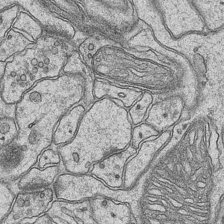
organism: Mouse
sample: CA1 Hippocampus